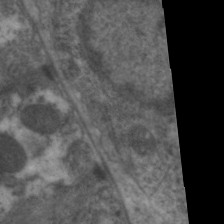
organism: C. elegans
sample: Pharynx